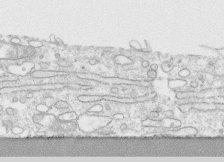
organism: Human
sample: CRL-1474